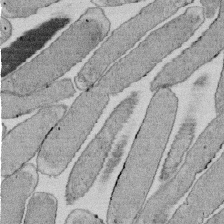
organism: E. coli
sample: Bacterial nucleoid